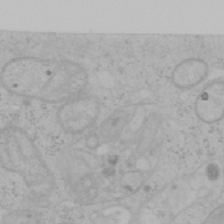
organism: Mouse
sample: OT-I killer T cells with ID8 ovarian cancer cells